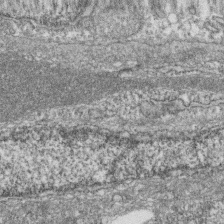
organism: Zebrafish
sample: Cilia; retinal pigment epithelium